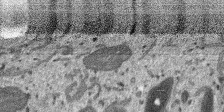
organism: Human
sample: Lung epithelial cells infected with SARS-CoV-2